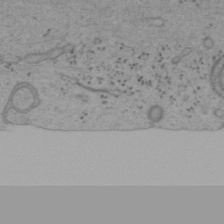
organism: Human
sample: HeLa cells